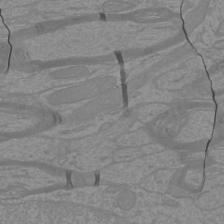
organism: Mouse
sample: Cortical neurons